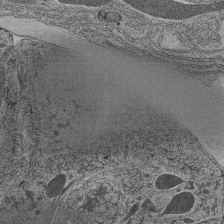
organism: C. elegans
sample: C. elegans pharynx